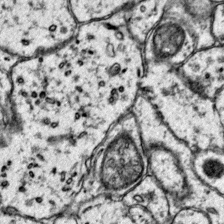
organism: Mouse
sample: Primary visual cortex